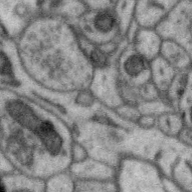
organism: Zebra finch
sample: Brain